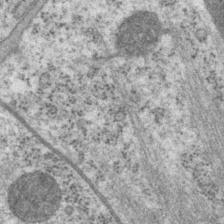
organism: P. pacificus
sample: Pharynx